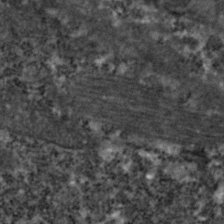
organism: Zebrafish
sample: Zebrafish embryo